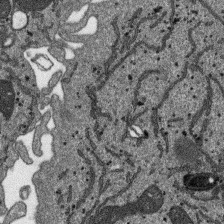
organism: Human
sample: Lung epithelial cells infected with SARS-CoV-2